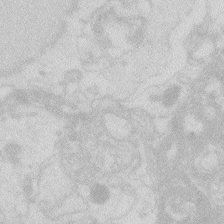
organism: Zebrafish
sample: Macrophage